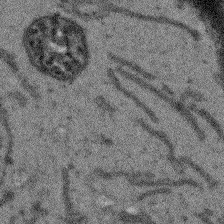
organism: Arabidopsis thaliana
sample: Root tip